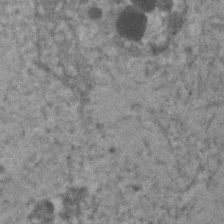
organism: Human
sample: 1205lu cells